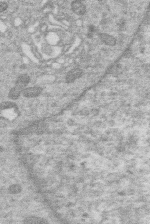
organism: Human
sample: Macrophage cells